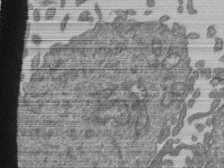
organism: Human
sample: Retinal organoid Rod and Cone cells